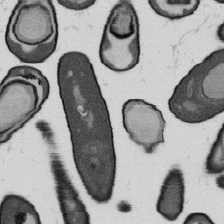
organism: B. subtilis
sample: Bacterial spore